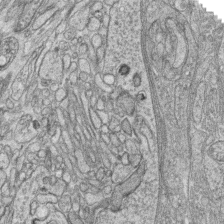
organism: Zebrafish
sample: synaptic ribbons in rod cells and cone cells